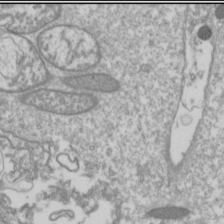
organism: Drosophila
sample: Cell division; meiosis; drosophila spermatocytes